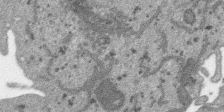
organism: Human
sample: Lung epithelial cells infected with SARS-CoV-2